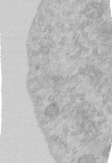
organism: Human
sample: Centriole in RPE cells